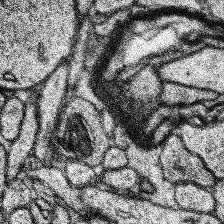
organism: Human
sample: Temporal Lobe